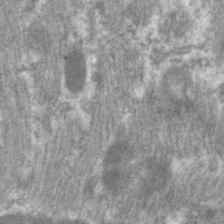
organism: C. elegans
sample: Pharynx